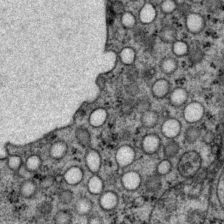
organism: P. pacificus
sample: Pharynx